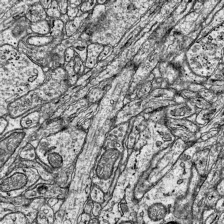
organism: Mouse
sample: Visual Cortex